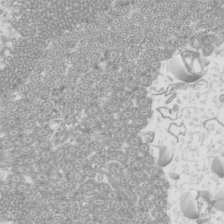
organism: Mouse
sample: Cilia; mouse epididymis